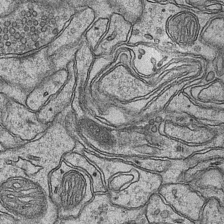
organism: Mouse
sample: CA1 Hippocampus